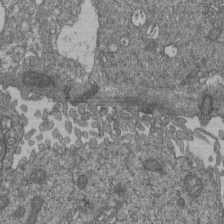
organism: Human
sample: Retinal organoid Rod and Cone cells